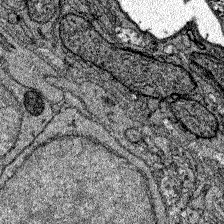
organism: Zebrafish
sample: Larval olfactory bulb